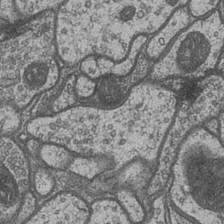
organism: Drosophila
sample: Optic medulla